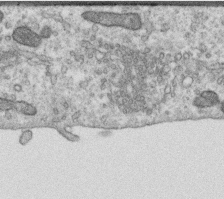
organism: Human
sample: Centriole in RPE cells